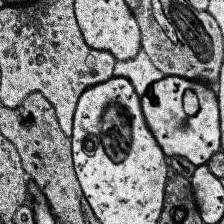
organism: Human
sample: Temporal Lobe